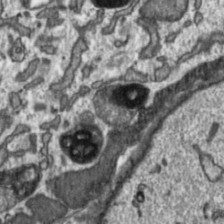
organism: Toxoplasma gondii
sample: Parasites in a vacuole inside a host cell